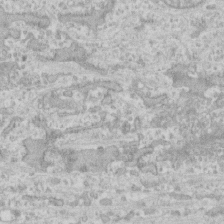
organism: Human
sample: CRL-1474